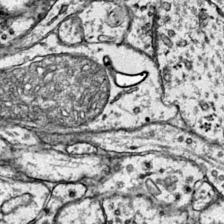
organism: Mouse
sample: Primary visual cortex